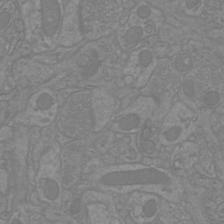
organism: Mouse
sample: Cortical neurons